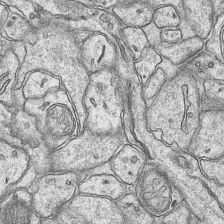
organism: Mouse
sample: CA1 Hippocampus